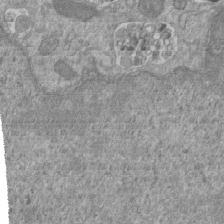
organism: Mouse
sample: ED-1 cell nuclei; centrioles